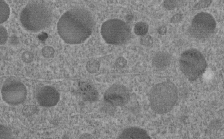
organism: C. elegans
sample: C. elegans embryo early stage